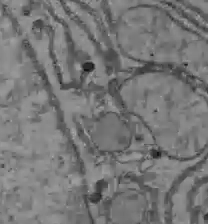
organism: C57BL Mouse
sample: Liver